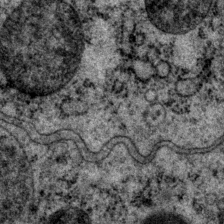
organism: P. pacificus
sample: Pharynx